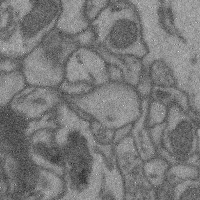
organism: Mouse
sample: Cerebral cortex